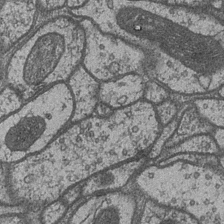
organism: Drosophila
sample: Optic medulla